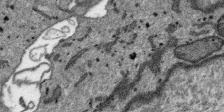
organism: Human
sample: Lung epithelial cells, uninfected (mock) control